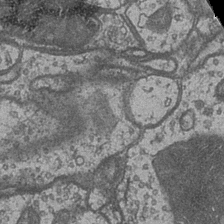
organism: Drosophila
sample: Optic medulla